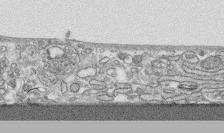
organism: Human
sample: CRL-1474